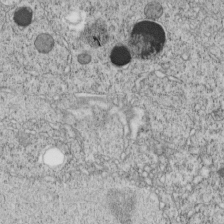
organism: C. elegans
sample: C. elegans embryo early stage